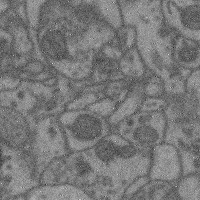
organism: Mouse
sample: Cerebral cortex